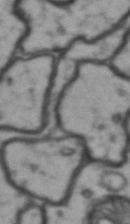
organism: Drosophila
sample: Brain